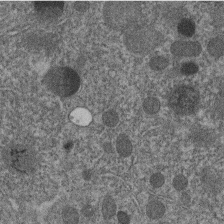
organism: C. elegans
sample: C. elegans embryo early stage